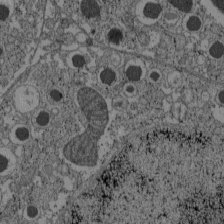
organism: C57BL Mouse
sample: Pancreatic islet